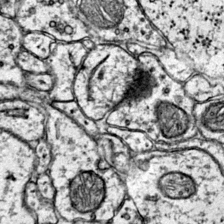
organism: Mouse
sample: Primary visual cortex